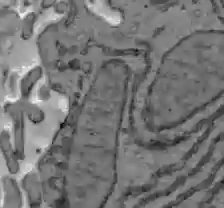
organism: C57BL Mouse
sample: Liver